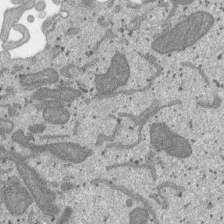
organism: Human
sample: Lung epithelial cells infected with SARS-CoV-2